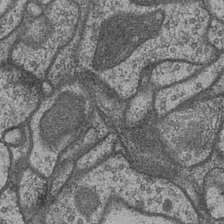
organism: Drosophila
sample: Optic medulla